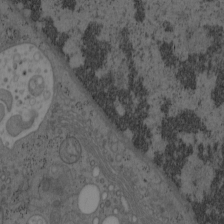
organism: Mouse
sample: OT-I killer T cells with ID8 ovarian cancer cells